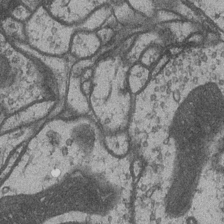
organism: Drosophila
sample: Optic medulla